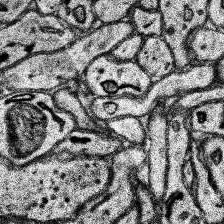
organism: Human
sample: Temporal Lobe